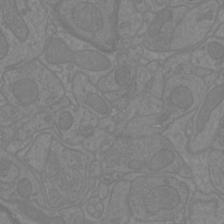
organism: Mouse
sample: Cortical neurons